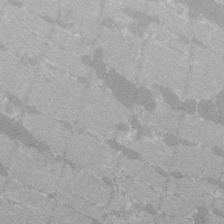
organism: C57BL Mouse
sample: Tibialis anterior muscle cell